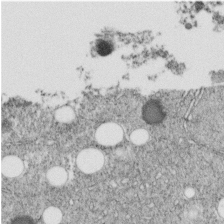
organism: C. elegans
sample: C. elegans embryo early stage